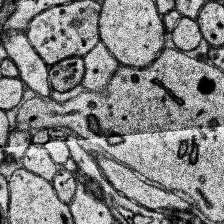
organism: Human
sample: Temporal Lobe